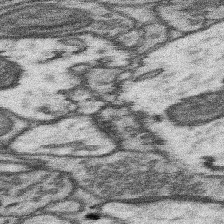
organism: Mouse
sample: Somatosensory cortex neuropil